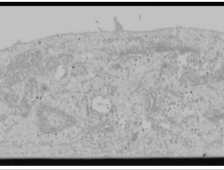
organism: Human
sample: Mitochondria in U2OS cells